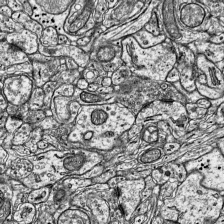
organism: Mouse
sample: Visual Cortex